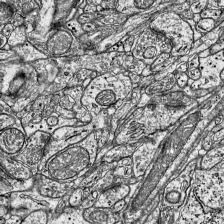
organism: Mouse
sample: Visual Cortex